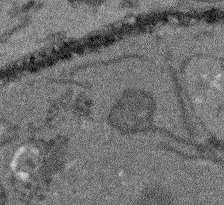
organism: Arabidopsis thaliana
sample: Root tip